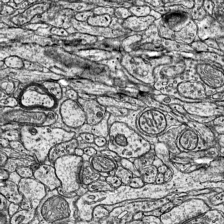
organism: Mouse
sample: Visual Cortex